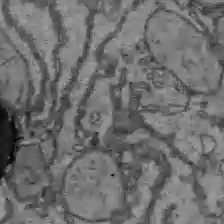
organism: C57BL Mouse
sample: Liver